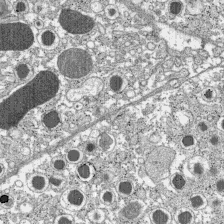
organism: C57BL Mouse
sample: Pancreatic islet